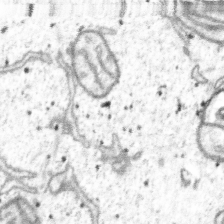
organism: Human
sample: HeLa cells